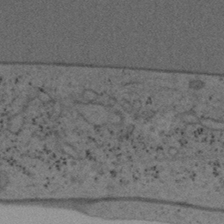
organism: Human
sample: HeLa cells